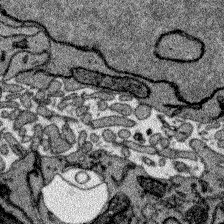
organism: Zebrafish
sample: Larval olfactory bulb